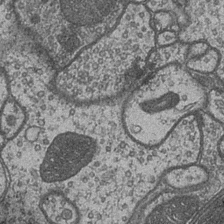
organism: Drosophila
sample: Optic medulla